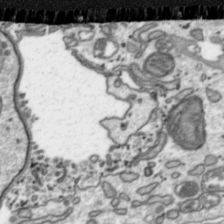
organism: Toxoplasma gondii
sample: Parasites in a vacuole inside a host cell